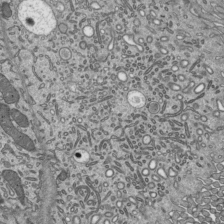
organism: Mouse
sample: Mouse epididymis efferent ductule cilia